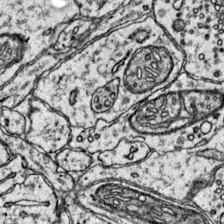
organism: Mouse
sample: Primary visual cortex